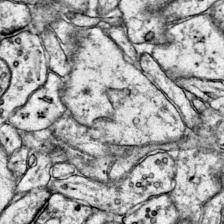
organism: Mouse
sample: Primary visual cortex